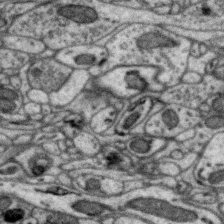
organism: Zebra finch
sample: Brain